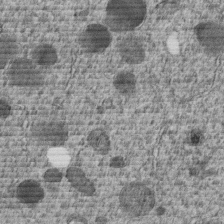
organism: C. elegans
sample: C. elegans embryo early stage